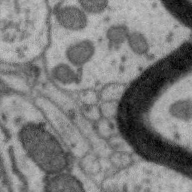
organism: Zebra finch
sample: Brain